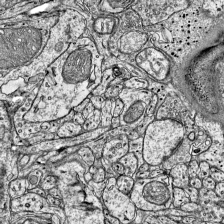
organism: Mouse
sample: Visual Cortex